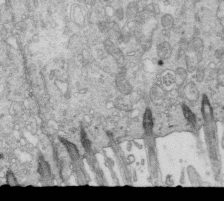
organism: Mouse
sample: Multiciliated cells